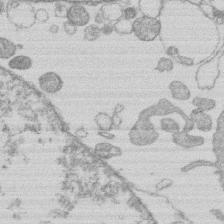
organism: Human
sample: Macrophage cells